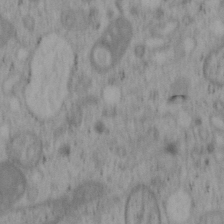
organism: Mouse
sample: OT-I killer T cells with ID8 ovarian cancer cells